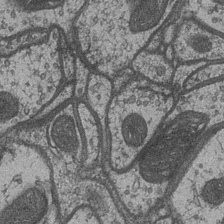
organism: Drosophila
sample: Optic medulla